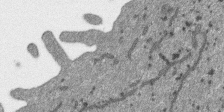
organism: Human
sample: Lung epithelial cells infected with SARS-CoV-2